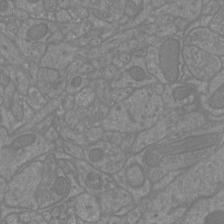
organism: Mouse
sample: Cortical neurons